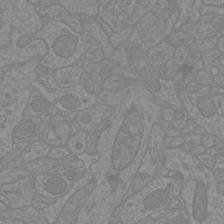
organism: Mouse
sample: Cortical neurons